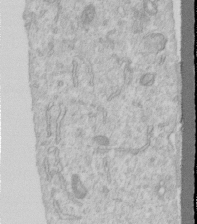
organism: Human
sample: Centriole in RPE cells